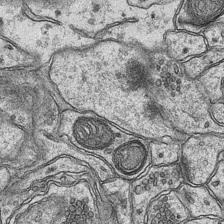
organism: Mouse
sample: CA1 Hippocampus